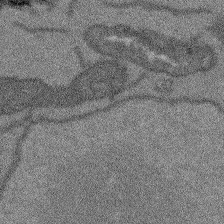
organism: Arabidopsis thaliana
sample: Root tip